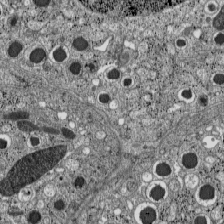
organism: C57BL Mouse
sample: Pancreatic islet